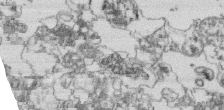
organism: Human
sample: HeLa cell HIV synapse